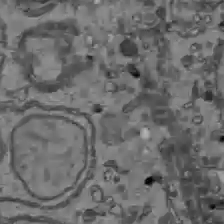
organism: C57BL Mouse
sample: Liver